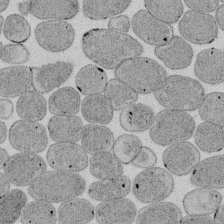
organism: E. coli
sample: Bacterial nucleoid